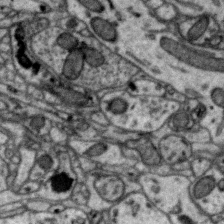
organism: Zebra finch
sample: Brain